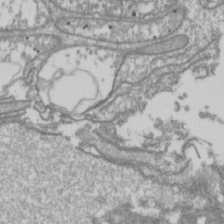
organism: Drosophila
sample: Cell division; meiosis; drosophila spermatocytes